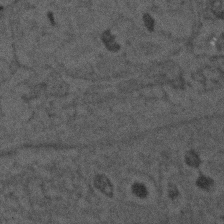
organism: Zebrafish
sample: Zebrafish embryo